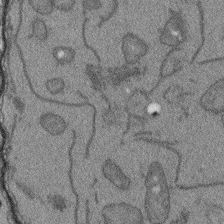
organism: Arabidopsis thaliana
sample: Root tip